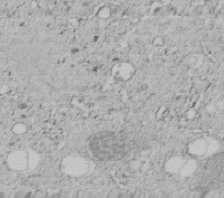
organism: C. elegans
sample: C. elegans embryo early stage